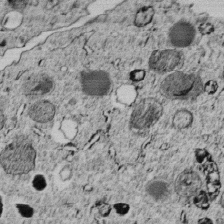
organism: C. elegans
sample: C. elegans embryo early stage